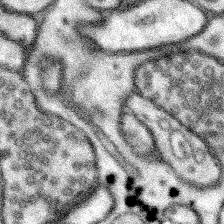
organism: Mouse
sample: Somatosensory cortex neuropil